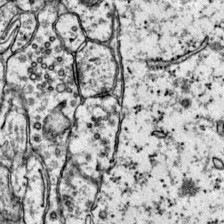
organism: Mouse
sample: Primary visual cortex